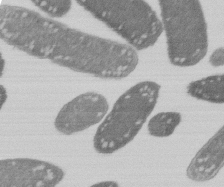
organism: E. coli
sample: Bacterial nucleoid